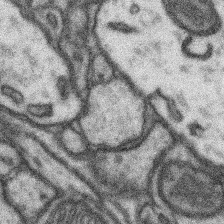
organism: Mouse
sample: Somatosensory cortex neuropil